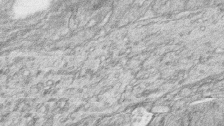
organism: Zebrafish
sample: synaptic ribbons in rod cells and cone cells